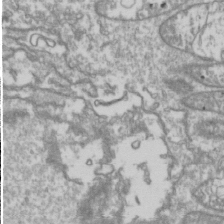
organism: Drosophila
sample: Cell division; meiosis; drosophila spermatocytes